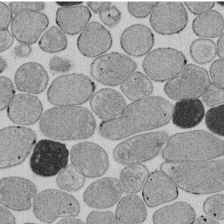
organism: E. coli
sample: Bacterial nucleoid